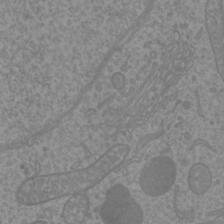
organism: Mouse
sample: Cortical neurons